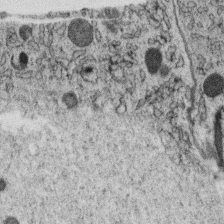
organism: C. elegans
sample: C. elegans oocyte; sperm cells